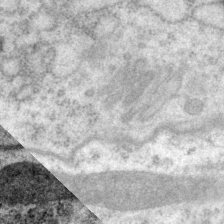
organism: P. pacificus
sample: Pharynx